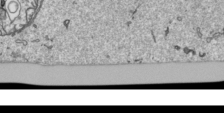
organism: Human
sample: Mitochondria in HCT116 cells